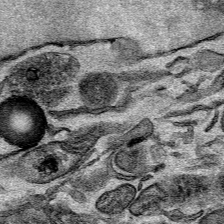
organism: Mouse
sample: Cancer cell death in ED-1 cells